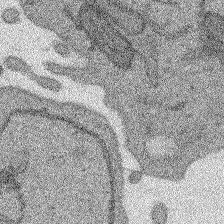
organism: Human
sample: HeLa cells